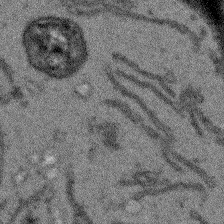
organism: Arabidopsis thaliana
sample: Root tip